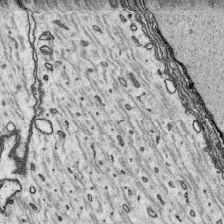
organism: Platynereis dumerilii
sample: Parapodia